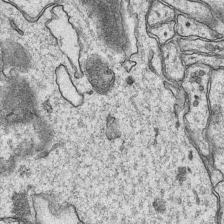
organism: Mouse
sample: CA1 Hippocampus